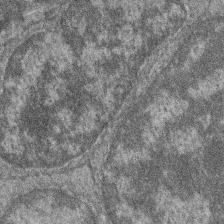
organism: Zebrafish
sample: Cilia; retinal pigment epithelium